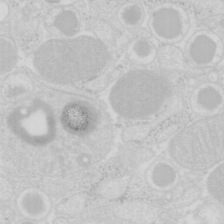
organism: Mouse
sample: Pancreas